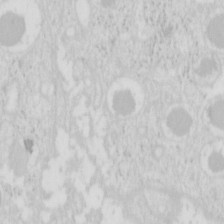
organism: Mouse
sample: Pancreas